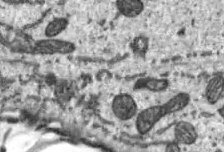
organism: Human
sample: HeLa cells